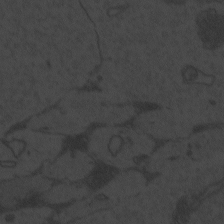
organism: Zebrafish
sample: Macrophage infected with Toxoplasma gondii